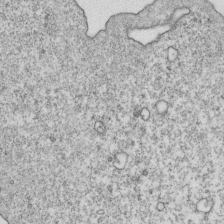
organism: Mouse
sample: Activated OT-1 CD8+ T cells